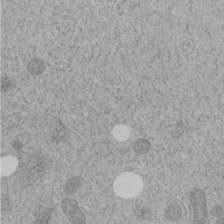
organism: C. elegans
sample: C. elegans embryo early stage